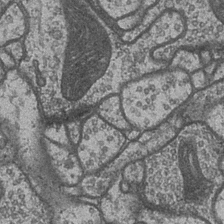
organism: Drosophila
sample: Optic medulla